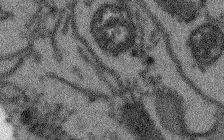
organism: Arabidopsis thaliana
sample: Root tip